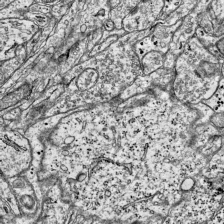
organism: Mouse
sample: Visual Cortex